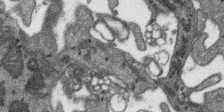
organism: Human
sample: Lung epithelial cells infected with SARS-CoV-2